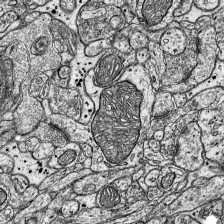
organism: Mouse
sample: Visual Cortex